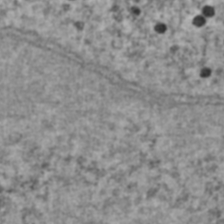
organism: Human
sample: Blood